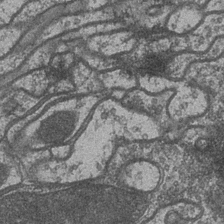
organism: Drosophila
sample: Optic medulla